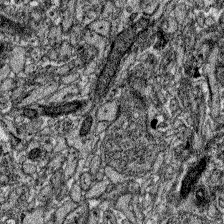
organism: Zebrafish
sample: Larval olfactory bulb